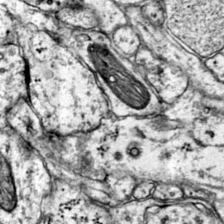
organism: Mouse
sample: Primary visual cortex